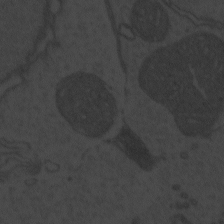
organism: Zebrafish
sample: Macrophage infected with Toxoplasma gondii